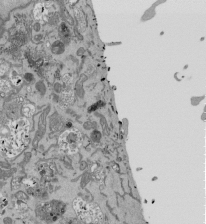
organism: Mouse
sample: ED-1 cell nuclei; centrioles